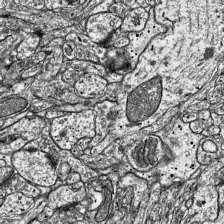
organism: Mouse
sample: Visual Cortex